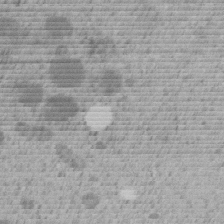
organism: C. elegans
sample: C. elegans embryo early stage